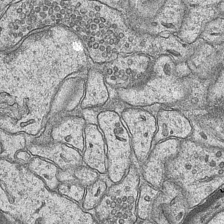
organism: Mouse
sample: CA1 Hippocampus